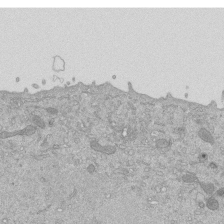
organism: Mouse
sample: ED-1 cell nuclei; centrioles